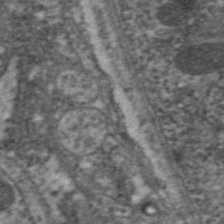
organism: C. elegans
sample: Pharynx